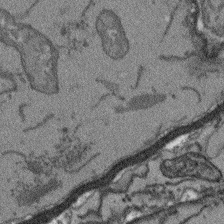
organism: Arabidopsis thaliana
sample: Root tip